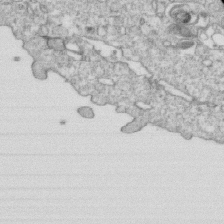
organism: Mouse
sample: Activated OT-1 CD8+ T cells